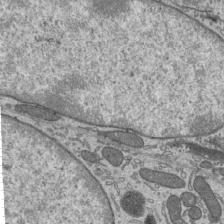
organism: Mouse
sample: Mouse epididymis efferent ductule cilia